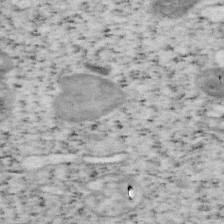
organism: Mouse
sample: OT-I killer T cells with ID8 ovarian cancer cells